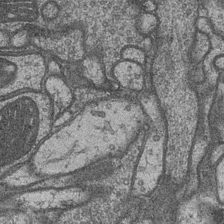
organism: Drosophila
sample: Optic medulla